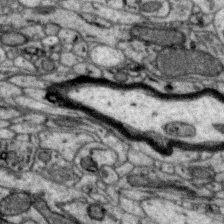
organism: Zebra finch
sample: Brain